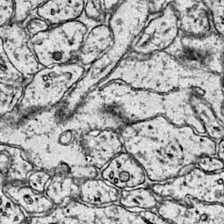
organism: Mouse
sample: Primary visual cortex